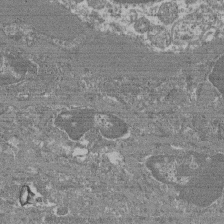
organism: Mouse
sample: Glomerulus